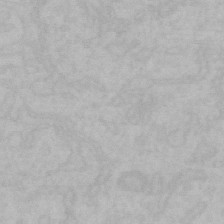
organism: Mouse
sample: Choroid plexus